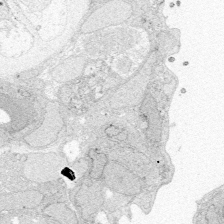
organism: Zebrafish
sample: Whole-Brain